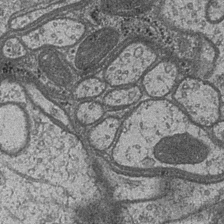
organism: Drosophila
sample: Optic medulla